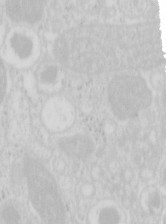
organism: Mouse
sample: Pancreas